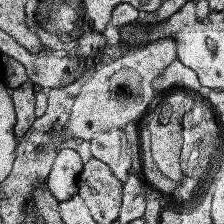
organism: Human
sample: Temporal Lobe